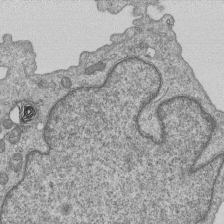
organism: Human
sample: MDA-MB-231 cells